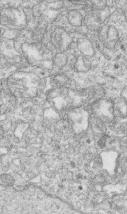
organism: Human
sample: HeLa cell HIV synapse